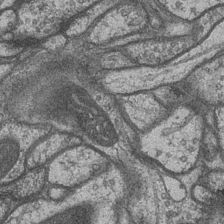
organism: Drosophila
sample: Optic medulla